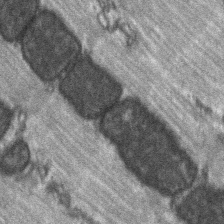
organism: C57BL Mouse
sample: Soleus